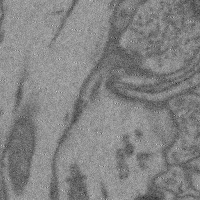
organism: Mouse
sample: Cerebral cortex